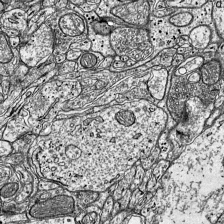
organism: Mouse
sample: Visual Cortex